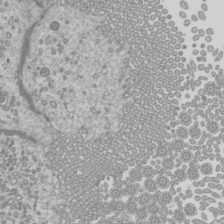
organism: Mouse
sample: Cilia; mouse epididymis